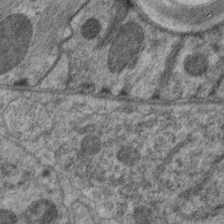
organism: C. elegans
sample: Pharynx